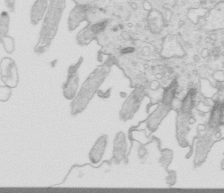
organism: Mouse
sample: Multiciliated cells